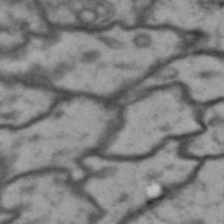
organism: Drosophila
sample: Brain